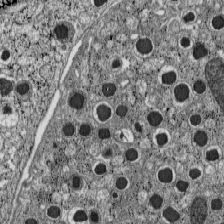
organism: C57BL Mouse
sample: Pancreatic islet